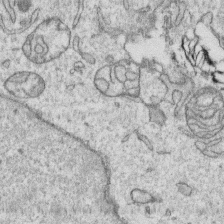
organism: Human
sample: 1205lu cells